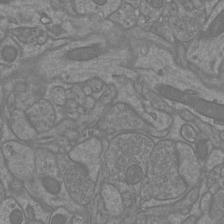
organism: Mouse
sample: Cortical neurons